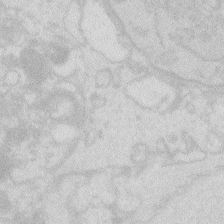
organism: Zebrafish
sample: Macrophage